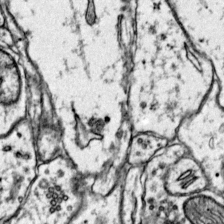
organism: Mouse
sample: Primary visual cortex